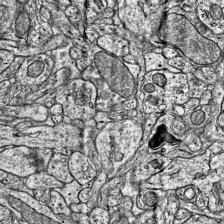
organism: Mouse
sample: Visual Cortex